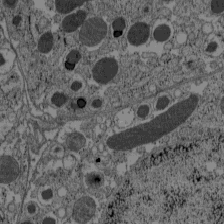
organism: C57BL Mouse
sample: Pancreatic islet